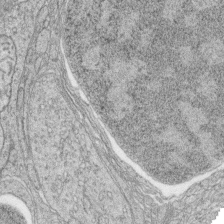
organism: Zebrafish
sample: synaptic ribbons in rod cells and cone cells